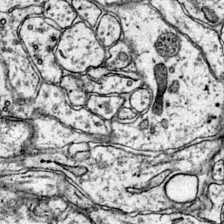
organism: Mouse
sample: Primary visual cortex